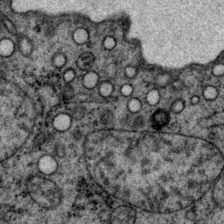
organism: P. pacificus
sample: Pharynx